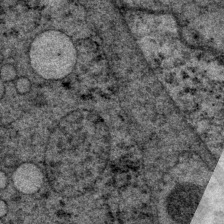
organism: P. pacificus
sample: Pharynx